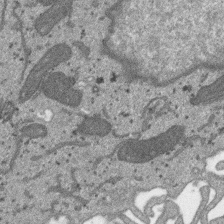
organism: Human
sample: Lung epithelial cells infected with SARS-CoV-2